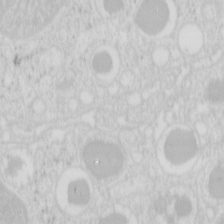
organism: Mouse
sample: Pancreas